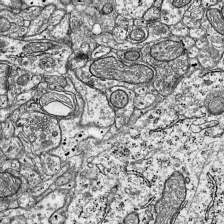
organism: Mouse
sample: Visual Cortex